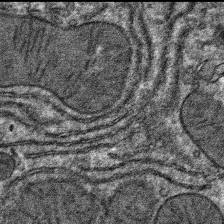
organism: Mouse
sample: Mouse hepatocytes